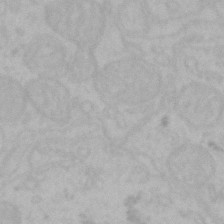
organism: Mouse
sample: Choroid plexus